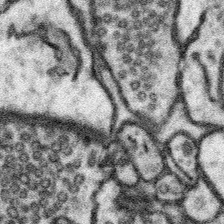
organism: Mouse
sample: Somatosensory cortex neuropil